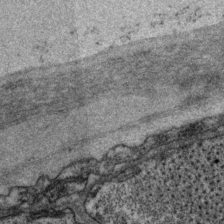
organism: P. pacificus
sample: Pharynx